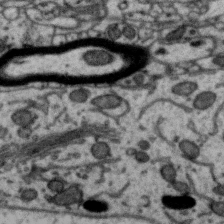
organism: Zebra finch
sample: Brain